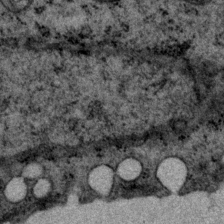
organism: P. pacificus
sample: Pharynx